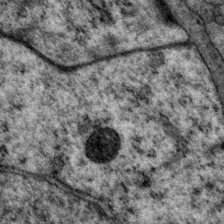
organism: P. pacificus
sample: Pharynx